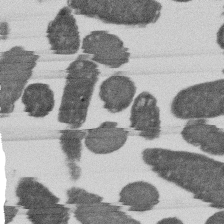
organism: E. coli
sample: Bacterial nucleoid